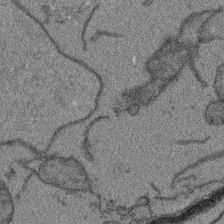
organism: Arabidopsis thaliana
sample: Root tip